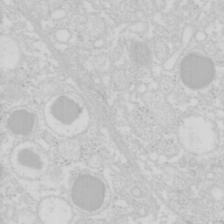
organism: Mouse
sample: Pancreas